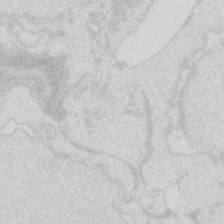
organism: Zebrafish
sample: Macrophage